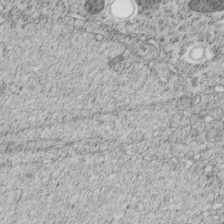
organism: C. elegans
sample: C. elegans embryo early stage